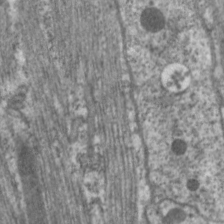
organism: C. elegans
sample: Pharynx